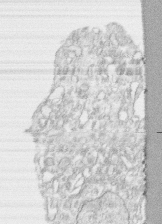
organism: Human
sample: CRL-1474